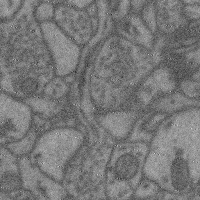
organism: Mouse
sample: Cerebral cortex